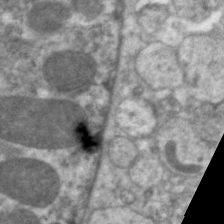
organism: C. elegans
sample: Pharynx